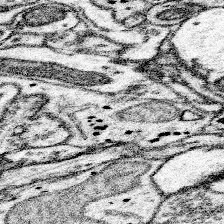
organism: Mouse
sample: Somatosensory cortex neuropil